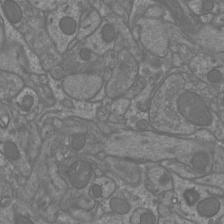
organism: Mouse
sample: Cortical neurons